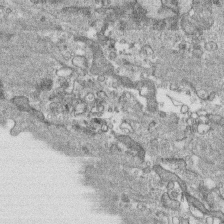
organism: Human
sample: CRL-1474